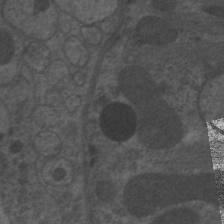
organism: C. elegans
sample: Pharynx